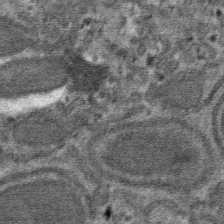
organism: Mouse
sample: Mouse hepatocytes